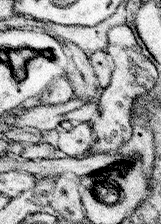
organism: Mouse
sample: Somatosensory cortex neuropil